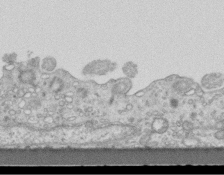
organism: Mouse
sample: Centriole in ependymal cells